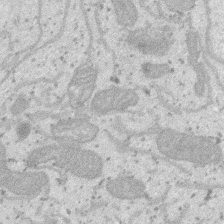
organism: Human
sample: Lung epithelial cells infected with SARS-CoV-2